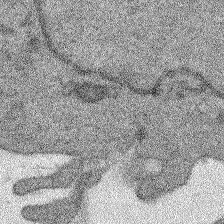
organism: Human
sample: HeLa cells